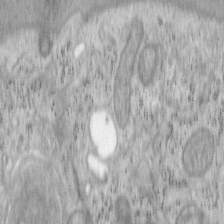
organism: Human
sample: HeLa cells